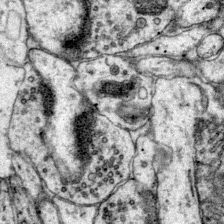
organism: Mouse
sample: Primary visual cortex